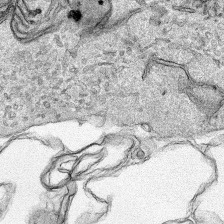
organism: Human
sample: Mitochondria in HCT116 cells